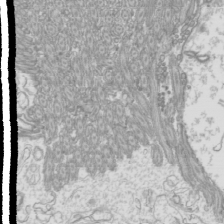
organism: Mouse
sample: Cilia; mouse epididymis